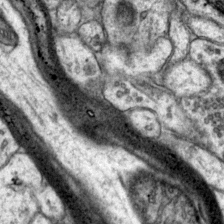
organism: Mouse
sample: Primary visual cortex